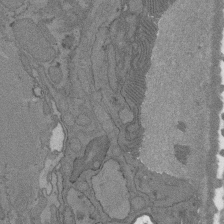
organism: C. elegans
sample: AFD neurons C. elegans